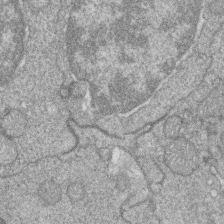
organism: Zebrafish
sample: Cilia; retinal pigment epithelium